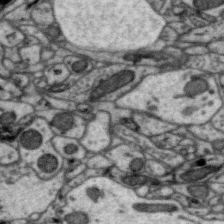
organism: Zebra finch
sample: Brain